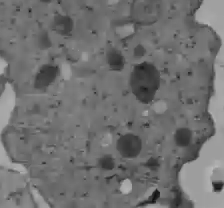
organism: C57BL Mouse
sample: Liver